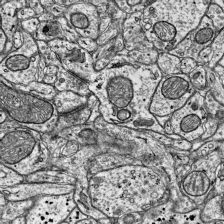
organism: Mouse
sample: Visual Cortex